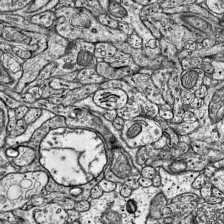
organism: Mouse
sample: Visual Cortex